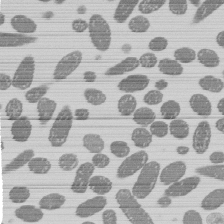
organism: E. coli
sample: Bacterial nucleoid